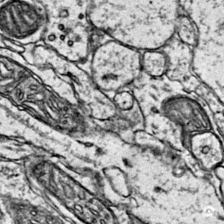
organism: Mouse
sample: Primary visual cortex